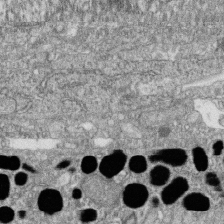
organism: Zebrafish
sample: Cilia; retinal pigment epithelium